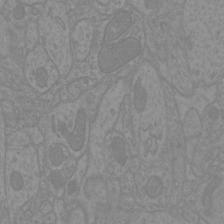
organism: Mouse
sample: Cortical neurons